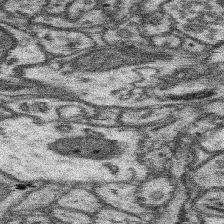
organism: Mouse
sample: Somatosensory cortex neuropil